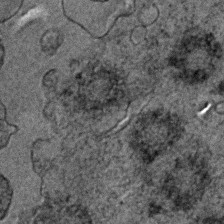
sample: Trachea